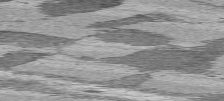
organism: C57BL Mouse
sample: Heart